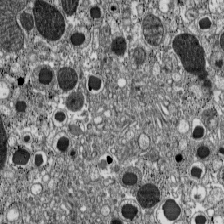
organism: C57BL Mouse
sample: Pancreatic islet